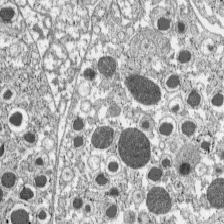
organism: C57BL Mouse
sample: Pancreatic islet